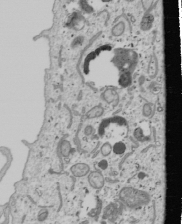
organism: Human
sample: Mitochondria in U2OS cells